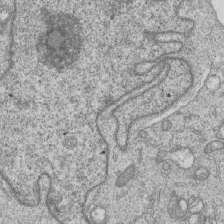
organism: Human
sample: MDA-MB-231 cells